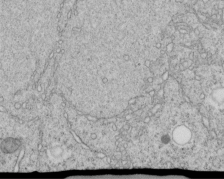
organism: C. elegans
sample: C. elegans embryo early stage